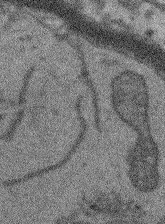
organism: Arabidopsis thaliana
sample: Root tip